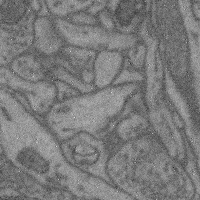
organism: Mouse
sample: Cerebral cortex